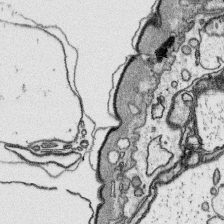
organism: Platynereis dumerilii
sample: Parapodia